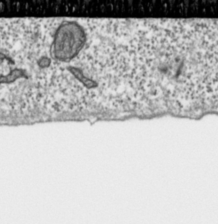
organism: Toxoplasma gondii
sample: Parasites in a vacuole inside a host cell